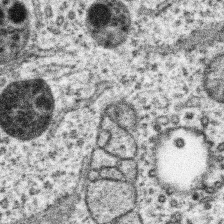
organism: Human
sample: HeLa cells